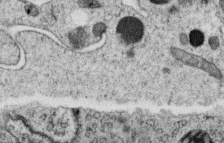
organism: C. elegans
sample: C. elegans oocyte; sperm cells